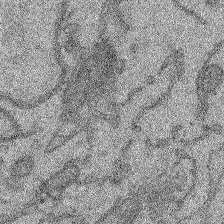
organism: Human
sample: HeLa cells